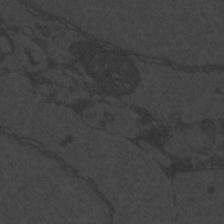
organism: Zebrafish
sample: Macrophage infected with Toxoplasma gondii